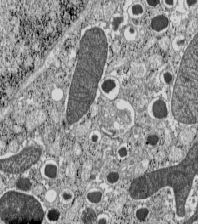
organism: C57BL Mouse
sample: Pancreatic islet